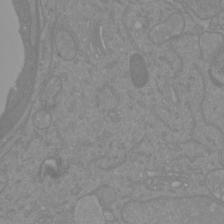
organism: Mouse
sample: Cortical neurons